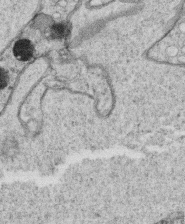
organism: C. elegans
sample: C. elegans oocyte; sperm cells